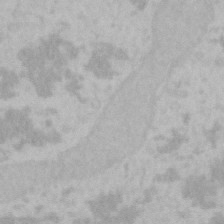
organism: Mouse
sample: Choroid plexus